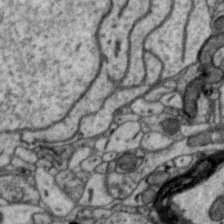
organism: Zebra finch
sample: Brain